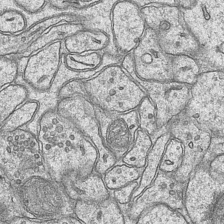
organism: Mouse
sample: CA1 Hippocampus